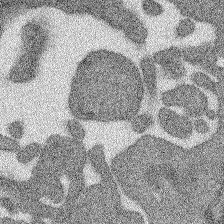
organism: Human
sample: HeLa cells